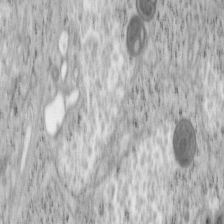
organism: Human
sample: HeLa cells